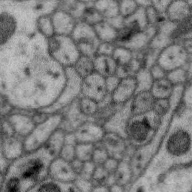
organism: Zebra finch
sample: Brain